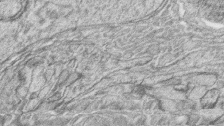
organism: Zebrafish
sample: synaptic ribbons in rod cells and cone cells